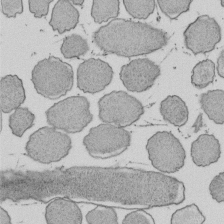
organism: E. coli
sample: Bacterial nucleoid